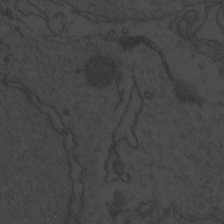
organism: Zebrafish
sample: Macrophage infected with Toxoplasma gondii